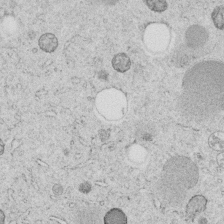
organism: C. elegans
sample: C. elegans embryo early stage